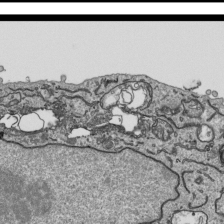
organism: Human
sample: Mitochondria in HCT116 cells